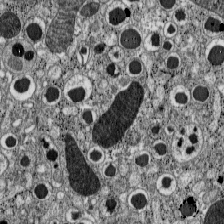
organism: C57BL Mouse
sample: Pancreatic islet